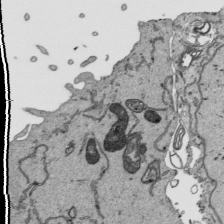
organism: Human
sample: Mitochondria in HCT116 cells